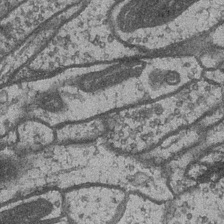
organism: Drosophila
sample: Optic medulla